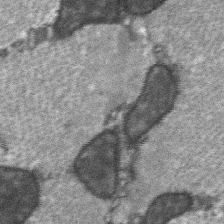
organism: C57BL Mouse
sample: Soleus